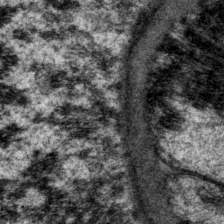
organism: P. pacificus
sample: Pharynx